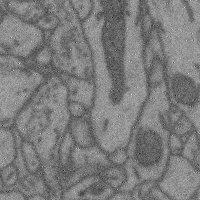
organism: Mouse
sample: Cerebral cortex